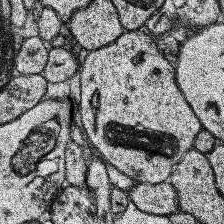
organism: Human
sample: Temporal Lobe